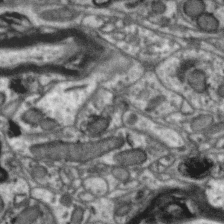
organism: Zebra finch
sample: Brain